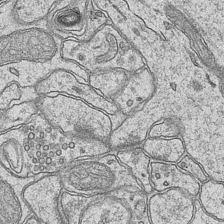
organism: Mouse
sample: CA1 Hippocampus